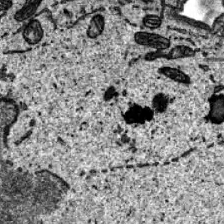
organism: Human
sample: HeLa cells